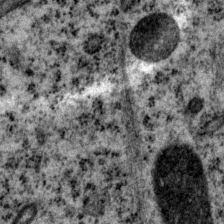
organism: P. pacificus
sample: Pharynx